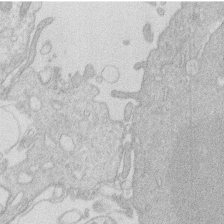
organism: Human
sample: Macrophage cells